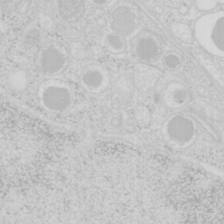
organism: Mouse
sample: Pancreas